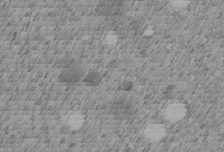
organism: C. elegans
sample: C. elegans embryo early stage